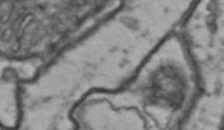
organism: Drosophila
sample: Brain